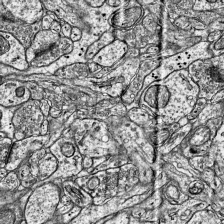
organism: Mouse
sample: Visual Cortex